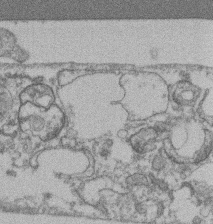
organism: Mouse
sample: T cell stromal cell synapse